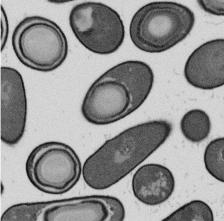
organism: B. subtilis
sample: Bacterial spore